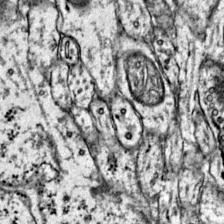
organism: Mouse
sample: Primary visual cortex